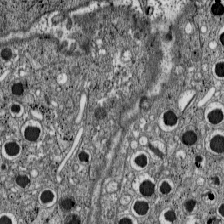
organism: C57BL Mouse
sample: Pancreatic islet